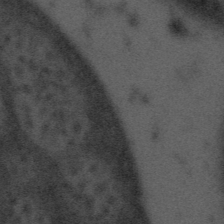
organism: Tuwongella immobilis